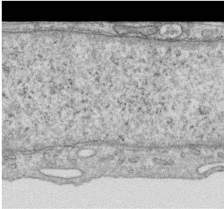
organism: Human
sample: Centriole in RPE cells